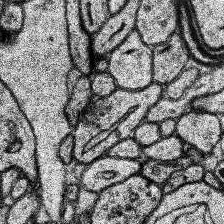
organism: Human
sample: Temporal Lobe